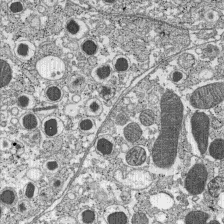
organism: C57BL Mouse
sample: Pancreatic islet